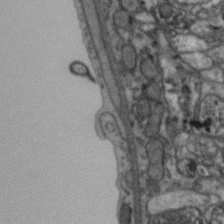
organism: Zebra finch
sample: Brain